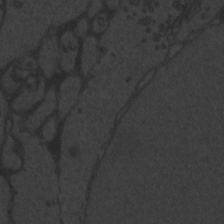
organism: Zebrafish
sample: Macrophage infected with Toxoplasma gondii